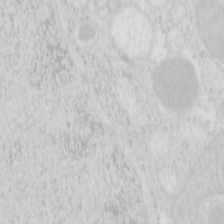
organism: Mouse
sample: Pancreas